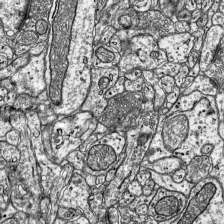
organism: Mouse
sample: Visual Cortex